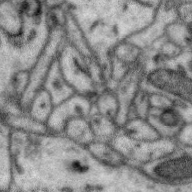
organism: Zebra finch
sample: Brain